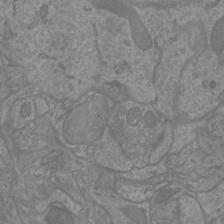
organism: Mouse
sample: Cortical neurons